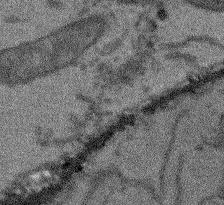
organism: Arabidopsis thaliana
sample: Root tip